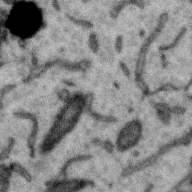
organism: Zebra finch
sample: Brain